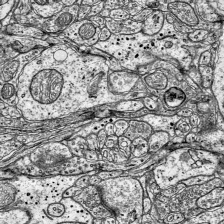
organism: Mouse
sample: Visual Cortex